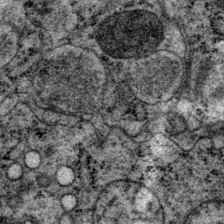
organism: P. pacificus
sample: Pharynx